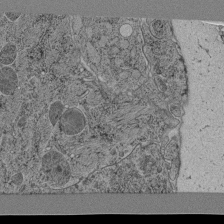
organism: C. elegans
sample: C. elegans pharynx